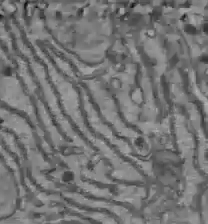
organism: C57BL Mouse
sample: Liver